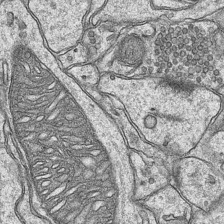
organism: Mouse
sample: CA1 Hippocampus